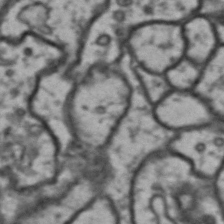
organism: Drosophila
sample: Brain